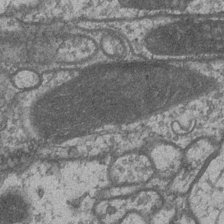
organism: Drosophila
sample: Optic medulla